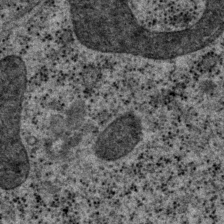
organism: P. pacificus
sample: Pharynx